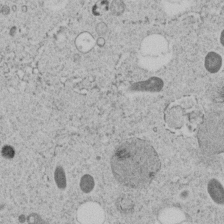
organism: C. elegans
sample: C. elegans embryo early stage